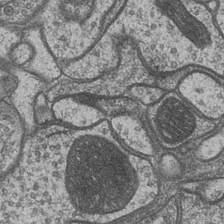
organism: Drosophila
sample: Optic medulla